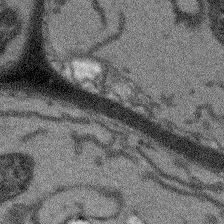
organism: Arabidopsis thaliana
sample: Root tip